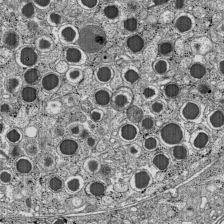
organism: C57BL Mouse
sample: Pancreatic islet